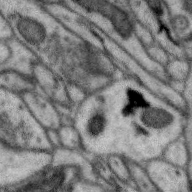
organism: Zebra finch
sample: Brain